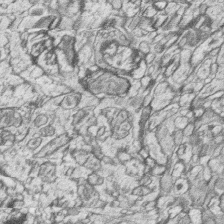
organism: Zebrafish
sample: synaptic ribbons in rod cells and cone cells